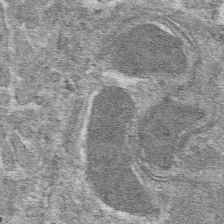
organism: Mouse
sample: Mouse hepatocytes